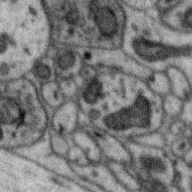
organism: Zebra finch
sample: Brain